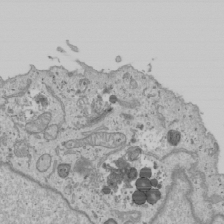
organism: Human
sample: Mitochondria in U2OS cells